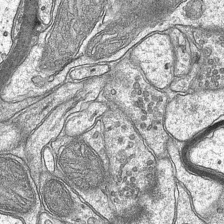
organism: Mouse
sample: CA1 Hippocampus